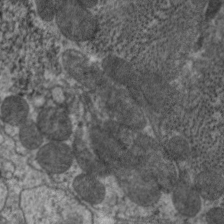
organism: C. elegans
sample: Pharynx